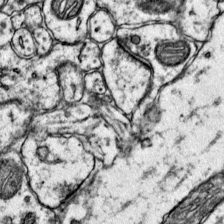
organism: Mouse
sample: Primary visual cortex